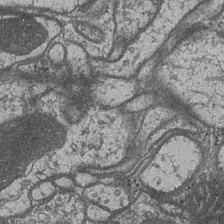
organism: Drosophila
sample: Optic medulla